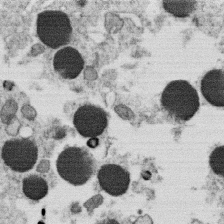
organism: C. elegans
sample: C. elegans oocyte; sperm cells